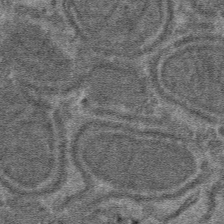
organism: Mouse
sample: Mouse hepatocytes